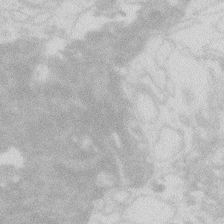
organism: Zebrafish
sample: Macrophage